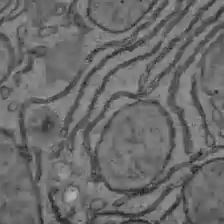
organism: C57BL Mouse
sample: Liver